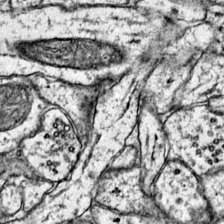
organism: Mouse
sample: Primary visual cortex